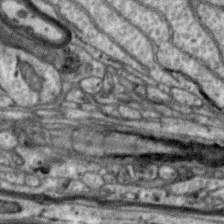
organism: Zebra finch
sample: Brain